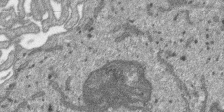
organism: Human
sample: Lung epithelial cells infected with SARS-CoV-2